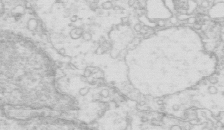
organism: Mouse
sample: Multiciliated cells